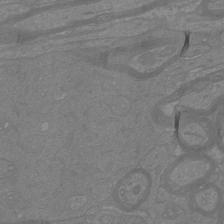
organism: Mouse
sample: Cortical neurons